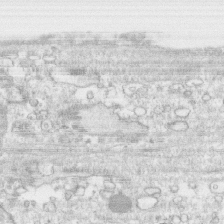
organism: Human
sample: CRL-1474